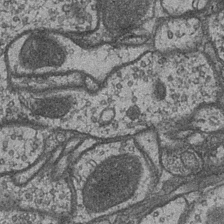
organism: Drosophila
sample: Optic medulla